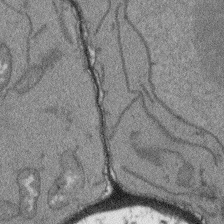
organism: Arabidopsis thaliana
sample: Root tip